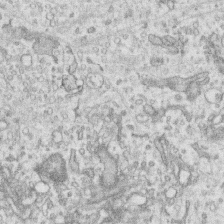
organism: Human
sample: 1205lu cells